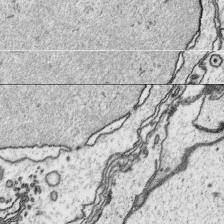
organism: Platynereis dumerilii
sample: Parapodia